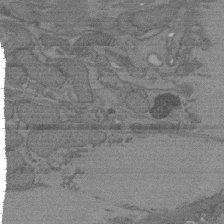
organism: C. elegans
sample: AFD neurons C. elegans